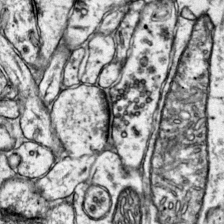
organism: Mouse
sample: Primary visual cortex